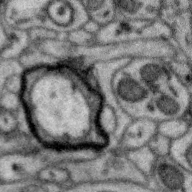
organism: Zebra finch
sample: Brain